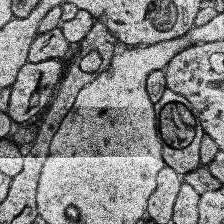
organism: Human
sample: Temporal Lobe